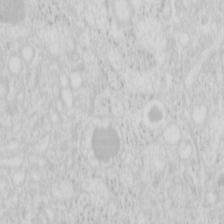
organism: Mouse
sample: Pancreas